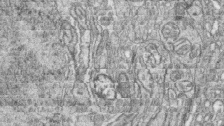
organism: Zebrafish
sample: synaptic ribbons in rod cells and cone cells